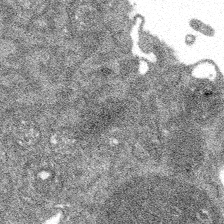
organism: Spongilla lacustris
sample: Multiple